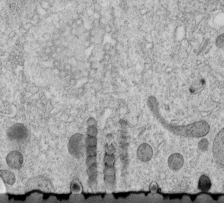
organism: C. elegans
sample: C. elegans embryo early stage